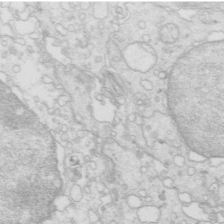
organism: Mouse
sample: Multiciliated cells